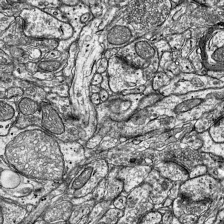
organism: Mouse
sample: Visual Cortex